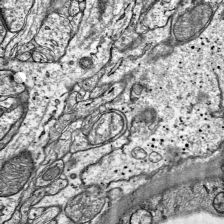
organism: Mouse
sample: Visual Cortex